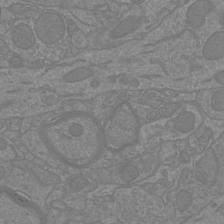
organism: Mouse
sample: Cortical neurons